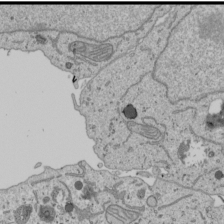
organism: Human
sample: Mitochondria in U2OS cells